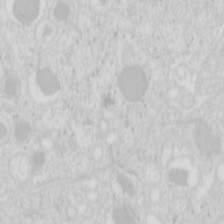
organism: Mouse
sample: Pancreas